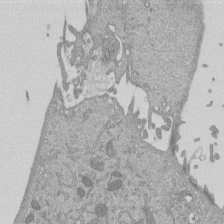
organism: Mouse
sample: ED-1 cell nuclei; centrioles